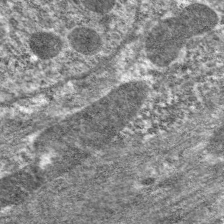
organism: C. elegans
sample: Pharynx